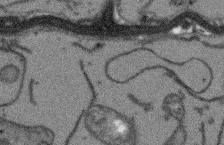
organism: Arabidopsis thaliana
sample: Root tip